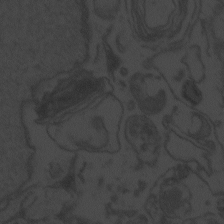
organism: Zebrafish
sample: Macrophage infected with Toxoplasma gondii